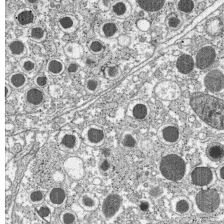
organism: C57BL Mouse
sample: Pancreatic islet